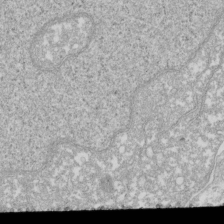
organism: Xenopus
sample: Cilia; centrioles in frog embryo cells